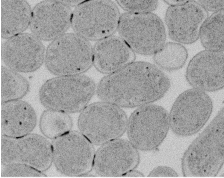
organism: E. coli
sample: Bacterial nucleoid